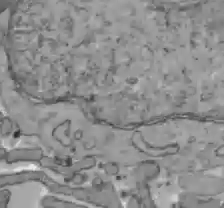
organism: C57BL Mouse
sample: Liver